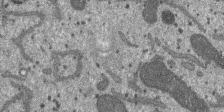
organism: Human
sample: Lung epithelial cells infected with SARS-CoV-2